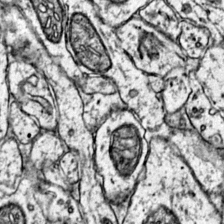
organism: Mouse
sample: Primary visual cortex